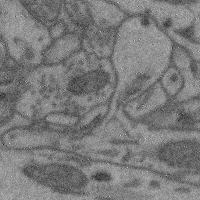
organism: Mouse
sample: Cerebral cortex